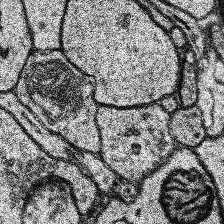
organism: Human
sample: Temporal Lobe